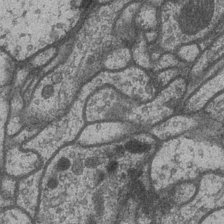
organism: Drosophila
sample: Optic medulla